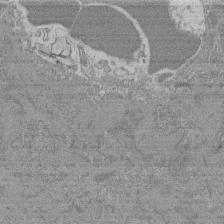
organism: Mouse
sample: Glomerulus